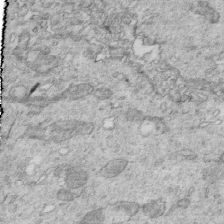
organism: Mouse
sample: Multiciliated cells